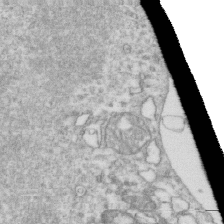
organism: Mouse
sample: Activated OT-1 CD8+ T cells